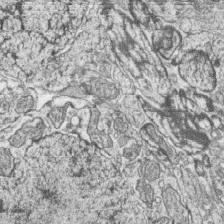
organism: Zebrafish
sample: synaptic ribbons in rod cells and cone cells